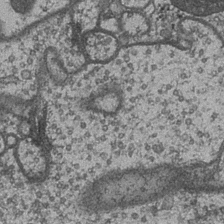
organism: Drosophila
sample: Optic medulla